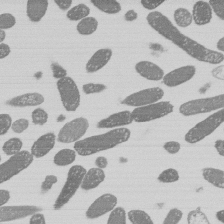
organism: E. coli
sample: Bacterial nucleoid